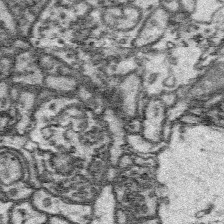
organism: Platynereis dumerilii